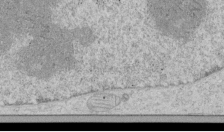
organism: Human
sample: Mitochondria in HCT116 cells